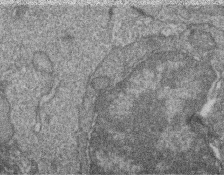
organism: Zebrafish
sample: Cilia; retinal pigment epithelium